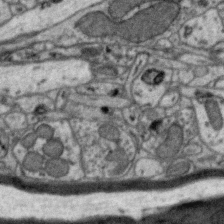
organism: Zebra finch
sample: Brain